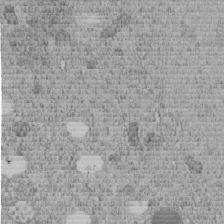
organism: C. elegans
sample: C. elegans embryo early stage